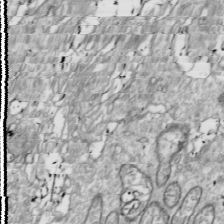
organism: Drosophila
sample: Cell division; meiosis; drosophila spermatocytes